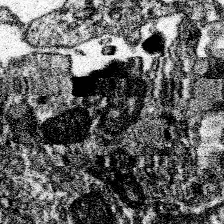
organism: Spongilla lacustris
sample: Neuroid cell